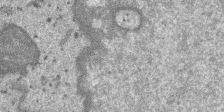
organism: Human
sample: Lung epithelial cells infected with SARS-CoV-2